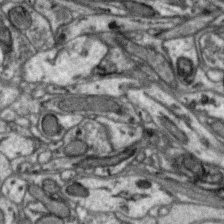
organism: Zebra finch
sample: Brain